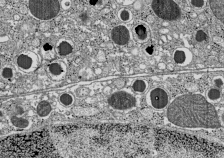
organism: C57BL Mouse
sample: Pancreatic islet